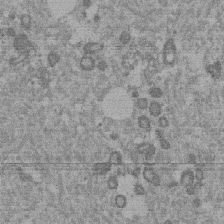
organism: Mouse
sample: Dividing mouse embryo 1 cell stage